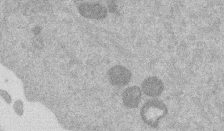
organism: Mouse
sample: Dividing mouse embryo 1 cell stage